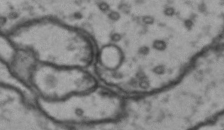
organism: Drosophila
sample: Brain